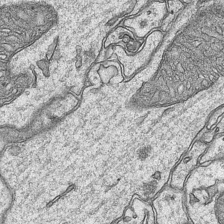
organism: Mouse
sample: CA1 Hippocampus